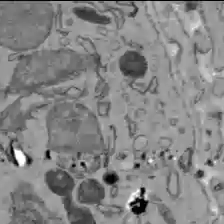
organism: C57BL Mouse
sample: Liver